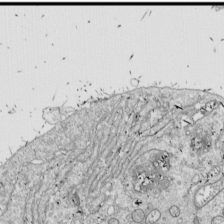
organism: Drosophila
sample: Cell division; meiosis; drosophila spermatocytes